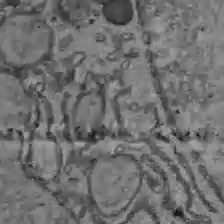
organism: C57BL Mouse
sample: Liver